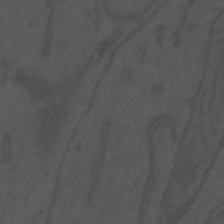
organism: Mouse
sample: Suprachiasmatic nucleus